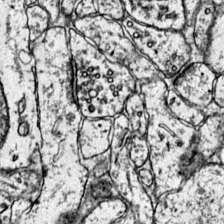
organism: Mouse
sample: Primary visual cortex